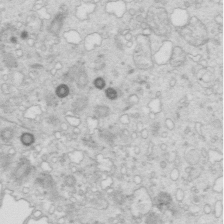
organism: Mouse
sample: Multiciliated cells